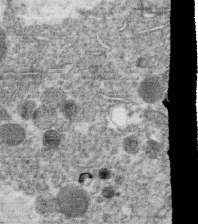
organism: C. elegans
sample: C. elegans oocyte; sperm cells